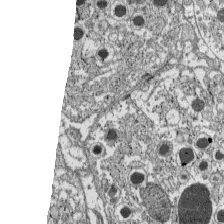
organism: C57BL Mouse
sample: Pancreatic islet